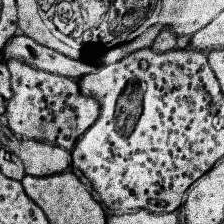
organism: Human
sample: Temporal Lobe